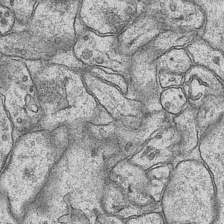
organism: Mouse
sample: CA1 Hippocampus